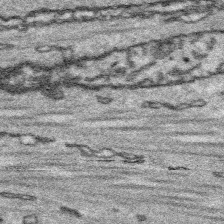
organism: Platynereis dumerilii